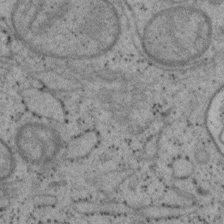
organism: Human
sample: HeLa cells